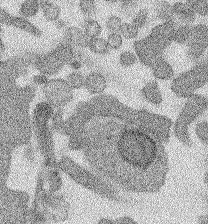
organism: Human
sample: HeLa cells